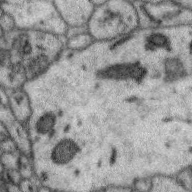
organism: Zebra finch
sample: Brain